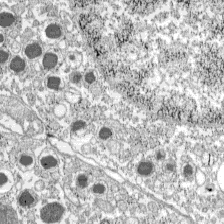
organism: C57BL Mouse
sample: Pancreatic islet